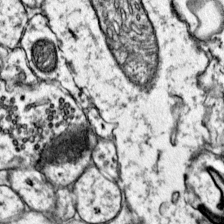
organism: Mouse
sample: Primary visual cortex